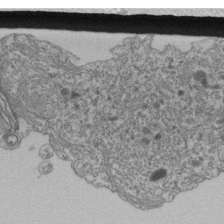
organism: Human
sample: Retinal organoid Rod and Cone cells